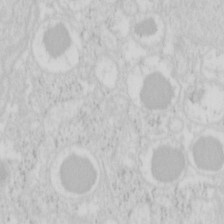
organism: Mouse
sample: Pancreas